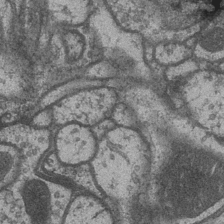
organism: Drosophila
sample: Optic medulla